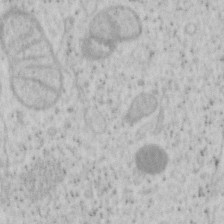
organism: Human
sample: HeLa cells